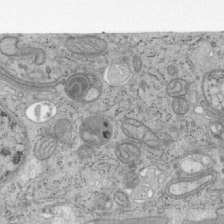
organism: Human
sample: HeLa cells